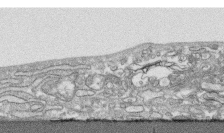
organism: Human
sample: CRL-1474